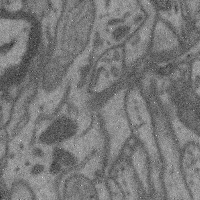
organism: Mouse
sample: Cerebral cortex